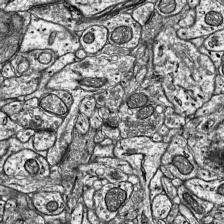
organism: Mouse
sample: Visual Cortex